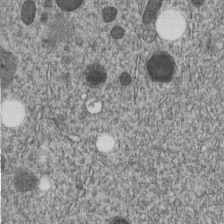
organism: C. elegans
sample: C. elegans embryo early stage